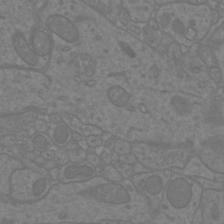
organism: Mouse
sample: Cortical neurons